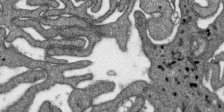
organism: Human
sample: Lung epithelial cells, uninfected (mock) control